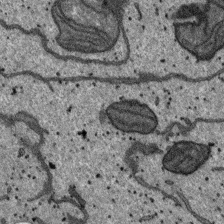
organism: Human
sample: Lung epithelial cells, uninfected (mock) control